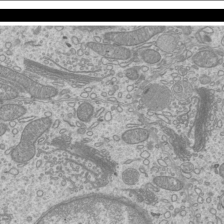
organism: Mouse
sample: Cilia; mouse epididymis